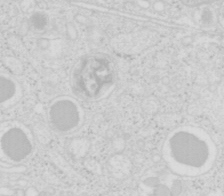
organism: Mouse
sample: Pancreas